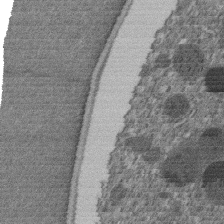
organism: C. elegans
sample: C. elegans embryo early stage